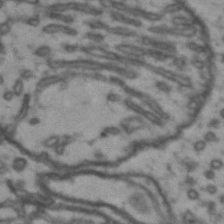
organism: Drosophila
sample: Brain